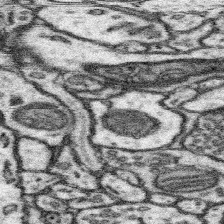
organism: Mouse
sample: Somatosensory cortex neuropil